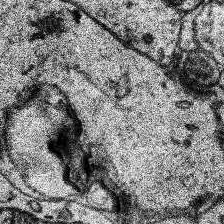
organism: Human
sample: Temporal Lobe